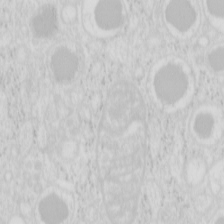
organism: Mouse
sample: Pancreas